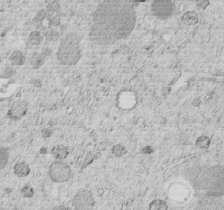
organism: C. elegans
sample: C. elegans embryo early stage